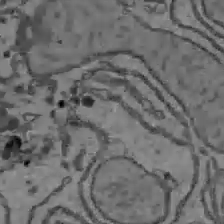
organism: C57BL Mouse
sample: Liver